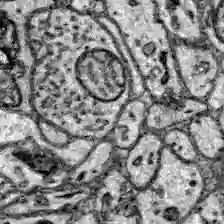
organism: Zebrafish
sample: Brain